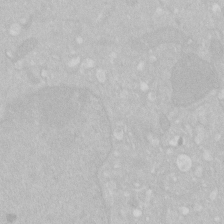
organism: Human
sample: HIV infected U937 cells